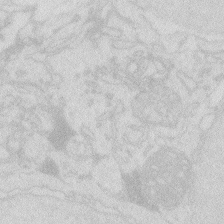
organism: Zebrafish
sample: Macrophage